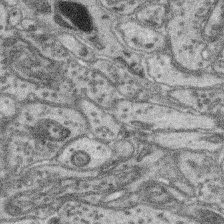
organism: Mouse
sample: Retina